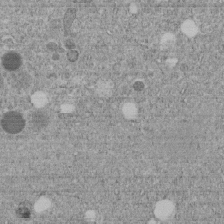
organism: C. elegans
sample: C. elegans embryo early stage